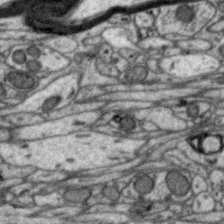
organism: Zebra finch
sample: Brain